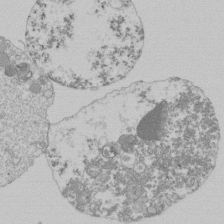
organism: Mouse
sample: Activated Pmel transgenic CD8+ T Cells